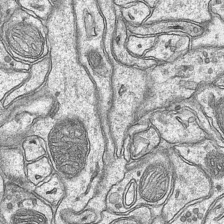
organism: Mouse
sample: CA1 Hippocampus